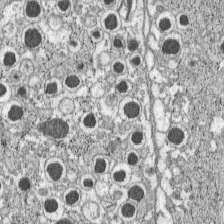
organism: C57BL Mouse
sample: Pancreatic islet